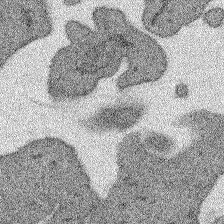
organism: Human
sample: HeLa cells